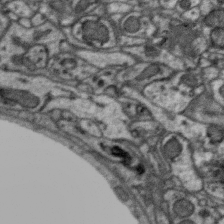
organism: Zebra finch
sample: Brain